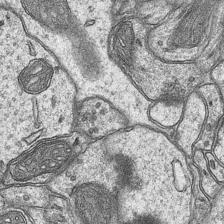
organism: Mouse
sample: CA1 Hippocampus